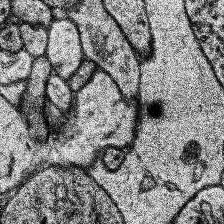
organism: Human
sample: Temporal Lobe